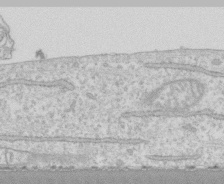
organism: Human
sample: CRL-1474